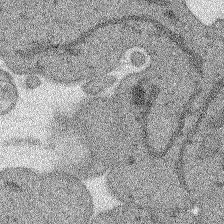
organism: Human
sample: HeLa cells